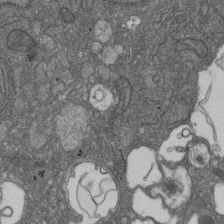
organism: Drosophila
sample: Nephrocyte